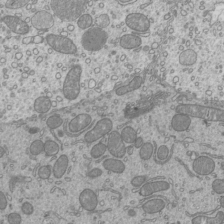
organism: Mouse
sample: Cilia; mouse epididymis